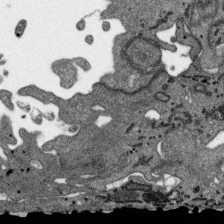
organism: Human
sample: Lung epithelial cells, uninfected (mock) control